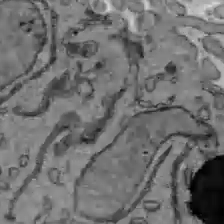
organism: C57BL Mouse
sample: Liver